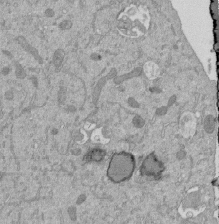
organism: Mouse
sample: ED-1 cell nuclei; centrioles